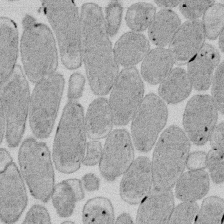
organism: E. coli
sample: Bacterial nucleoid